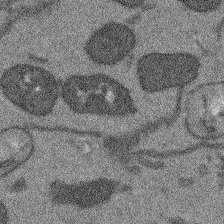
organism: Arabidopsis thaliana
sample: Root tip